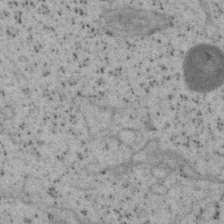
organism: Human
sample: HeLa cells